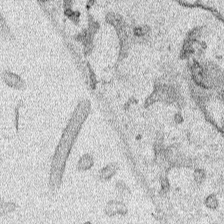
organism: Human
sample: Mitochondria in HCT116 cells